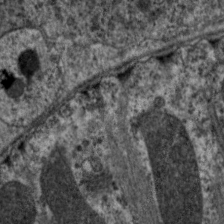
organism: C. elegans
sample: Pharynx